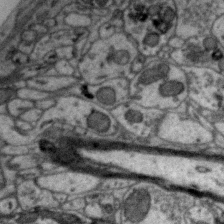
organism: Zebra finch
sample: Brain